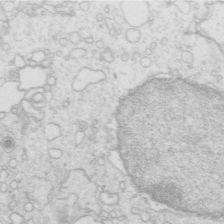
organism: Mouse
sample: Multiciliated cells